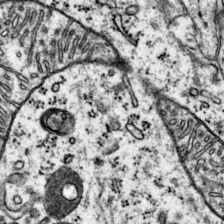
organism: Mouse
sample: Primary visual cortex